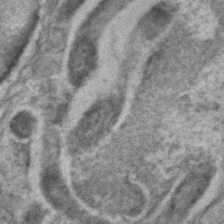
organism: C. elegans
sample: C. elegans embryo